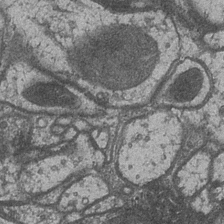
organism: Drosophila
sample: Optic medulla